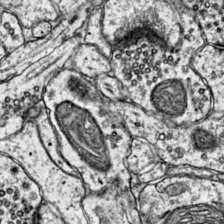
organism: Mouse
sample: Primary visual cortex